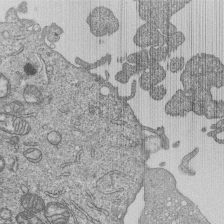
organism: Human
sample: MDA-MB-231 cells